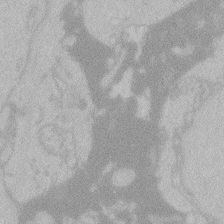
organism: Zebrafish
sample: Macrophage infected with Toxoplasma gondii